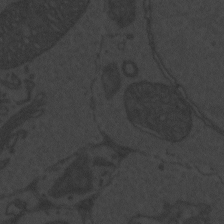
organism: Zebrafish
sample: Macrophage infected with Toxoplasma gondii